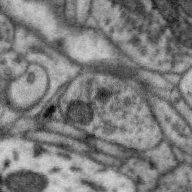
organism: Zebra finch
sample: Brain